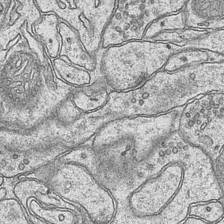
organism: Mouse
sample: CA1 Hippocampus